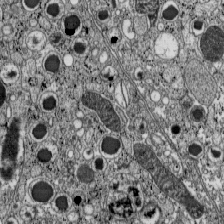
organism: C57BL Mouse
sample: Pancreatic islet